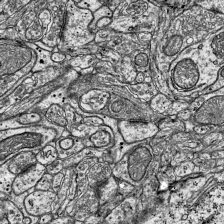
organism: Mouse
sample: Visual Cortex